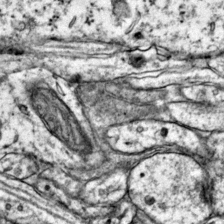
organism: Mouse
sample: Primary visual cortex